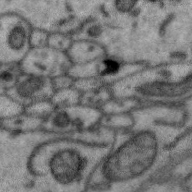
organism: Zebra finch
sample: Brain